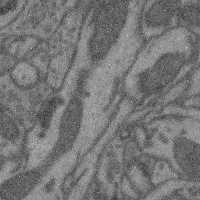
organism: Mouse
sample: Cerebral cortex